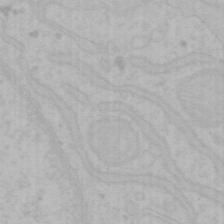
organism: Mouse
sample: Choroid plexus